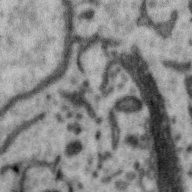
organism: Zebra finch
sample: Brain